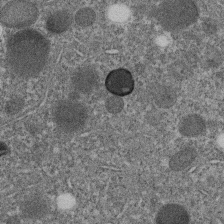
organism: C. elegans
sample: C. elegans embryo early stage